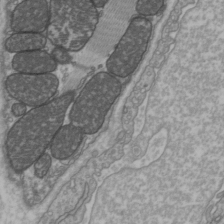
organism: C57BL Mouse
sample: Heart